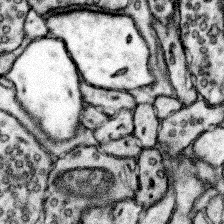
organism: Mouse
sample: Somatosensory cortex neuropil